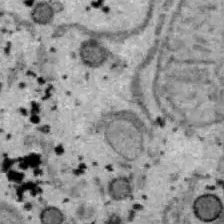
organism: Mouse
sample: Liver from an obese (ob/ob) mouse